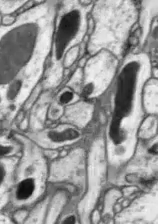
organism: Drosophila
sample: Optic lobe